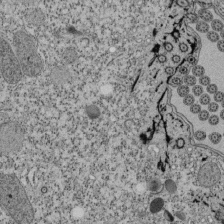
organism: Tetrahymena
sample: Cilia in tetrahymena